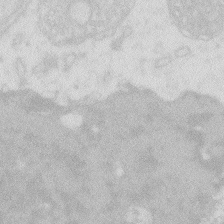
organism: Zebrafish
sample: Macrophage